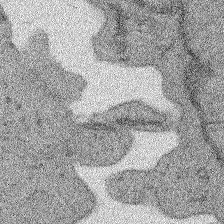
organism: Human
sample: HeLa cells